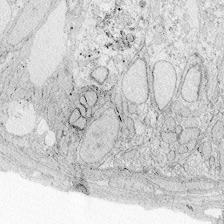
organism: Zebrafish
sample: Whole-Brain